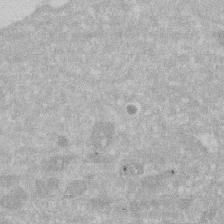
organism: Human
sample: HIV infected U937 cells